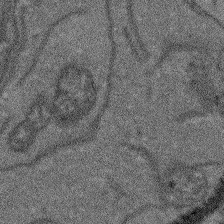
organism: Arabidopsis thaliana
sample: Root tip